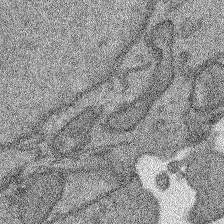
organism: Human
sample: HeLa cells